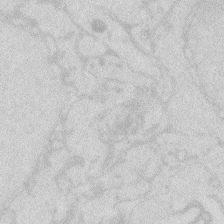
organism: Zebrafish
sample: Macrophage